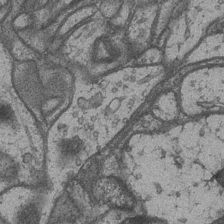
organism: Drosophila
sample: Optic medulla